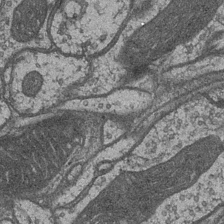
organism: Drosophila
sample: Optic medulla